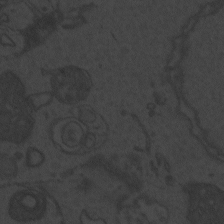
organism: Zebrafish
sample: Macrophage infected with Toxoplasma gondii